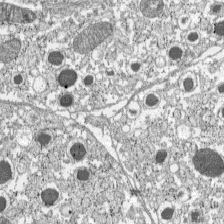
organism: C57BL Mouse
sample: Pancreatic islet